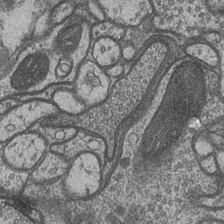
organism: Drosophila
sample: Optic medulla